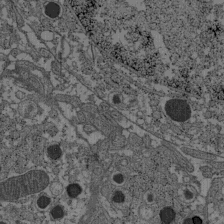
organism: C57BL Mouse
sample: Pancreatic islet